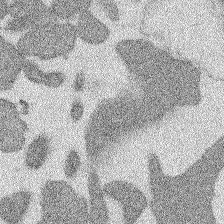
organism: Human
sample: HeLa cells